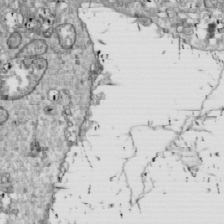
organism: Drosophila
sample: Cell division; meiosis; drosophila spermatocytes